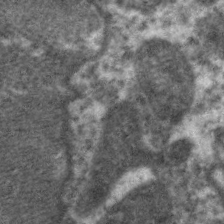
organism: C. elegans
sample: Pharynx